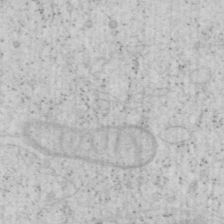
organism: Human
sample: HeLa cells